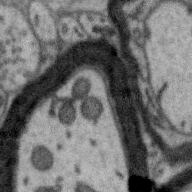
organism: Zebra finch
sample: Brain